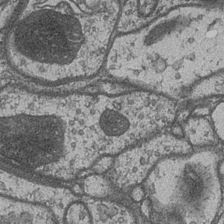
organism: Drosophila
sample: Optic medulla